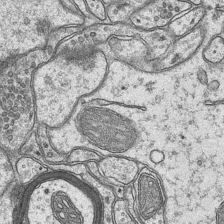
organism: Mouse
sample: CA1 Hippocampus